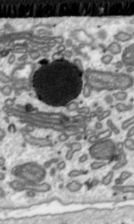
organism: Toxoplasma gondii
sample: Parasites in a vacuole inside a host cell